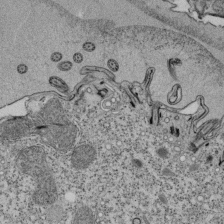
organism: Tetrahymena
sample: Cilia in tetrahymena